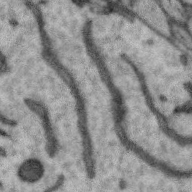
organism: Zebra finch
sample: Brain